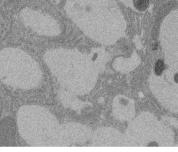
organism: Rat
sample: Salivary granule